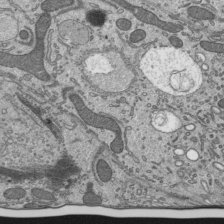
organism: Mouse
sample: Mouse epididymis efferent ductule cilia